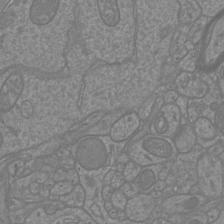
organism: Mouse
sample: Cortical neurons